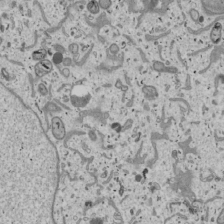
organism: Human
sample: Mitochondria in U2OS cells